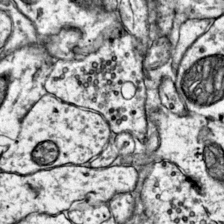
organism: Mouse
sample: Primary visual cortex